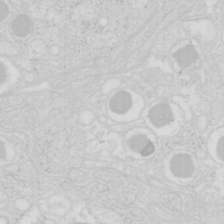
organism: Mouse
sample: Pancreas